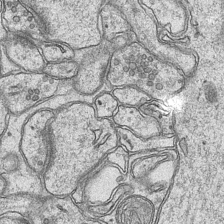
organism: Mouse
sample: CA1 Hippocampus